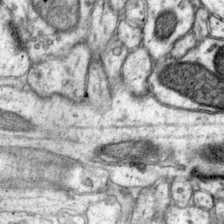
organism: Mouse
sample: Primary visual cortex